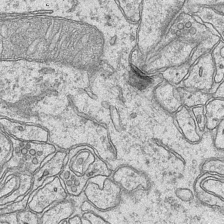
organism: Mouse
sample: CA1 Hippocampus